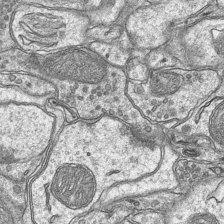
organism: Mouse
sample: CA1 Hippocampus